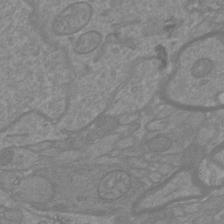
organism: Mouse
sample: Cortical neurons